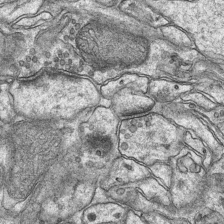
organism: Mouse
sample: CA1 Hippocampus